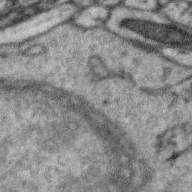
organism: Zebra finch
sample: Brain